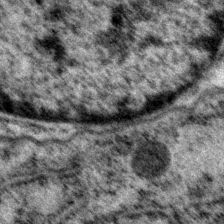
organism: P. pacificus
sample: Pharynx